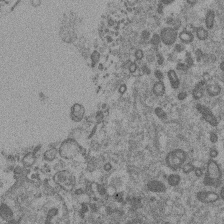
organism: Mouse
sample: Dividing mouse embryo 1 cell stage